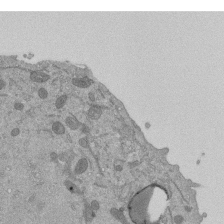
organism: Mouse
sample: ED-1 cell nuclei; centrioles